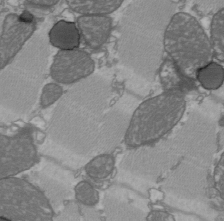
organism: C57BL Mouse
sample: Heart